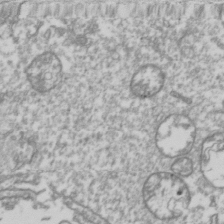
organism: Drosophila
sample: Cell division; meiosis; drosophila spermatocytes